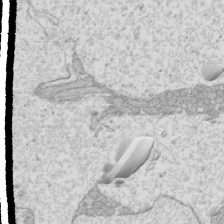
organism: Mouse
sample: Cilia; mouse epididymis